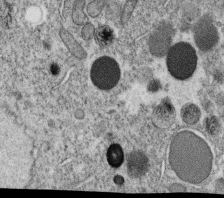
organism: C. elegans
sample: C. elegans oocyte; sperm cells